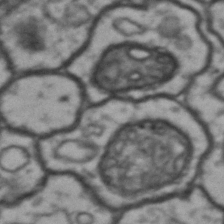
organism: Drosophila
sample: Brain